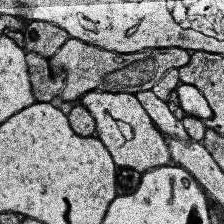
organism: Human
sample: Temporal Lobe